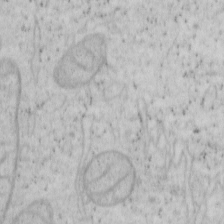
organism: Human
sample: HeLa cells